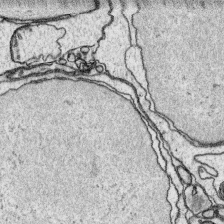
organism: Platynereis dumerilii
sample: Parapodia